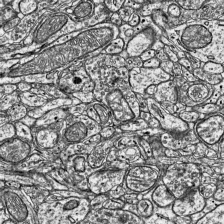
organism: Mouse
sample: Visual Cortex